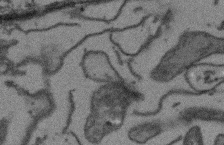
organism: Arabidopsis thaliana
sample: Root tip